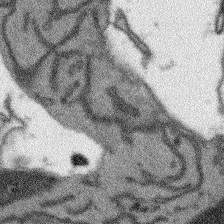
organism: Arabidopsis thaliana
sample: Root tip